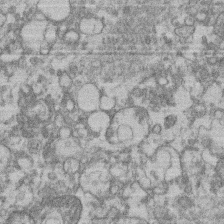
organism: Mouse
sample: T cell stromal cell synapse